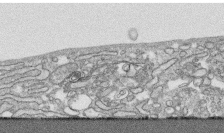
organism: Human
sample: CRL-1474